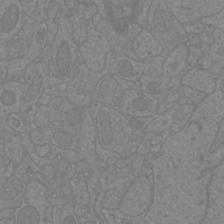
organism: Mouse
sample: Cortical neurons